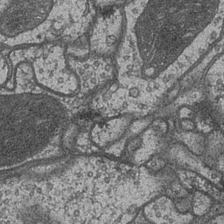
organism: Drosophila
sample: Optic medulla